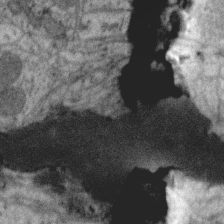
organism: Zebra finch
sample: Brain